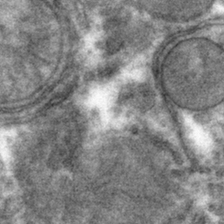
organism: Mouse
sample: Mouse hepatocytes